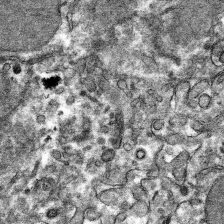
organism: Mouse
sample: Mouse hepatocytes